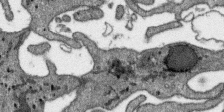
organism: Human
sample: Lung epithelial cells, uninfected (mock) control